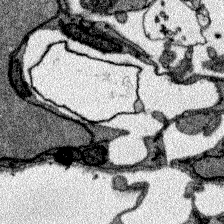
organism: Zebrafish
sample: Larval olfactory bulb